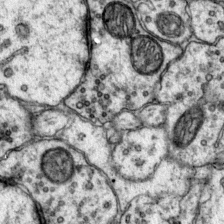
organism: Mouse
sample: Primary visual cortex